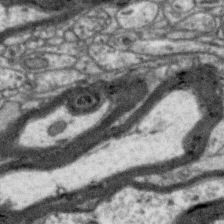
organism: Zebra finch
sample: Brain